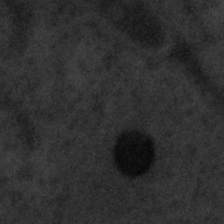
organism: Tuwongella immobilis